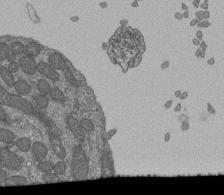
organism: Human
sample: Retinal organoid Rod and Cone cells